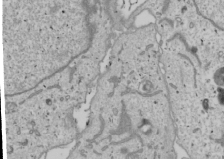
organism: Human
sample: Mitochondria in U2OS cells